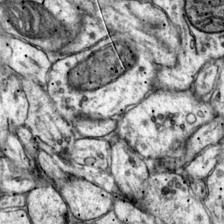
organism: Mouse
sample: Primary visual cortex